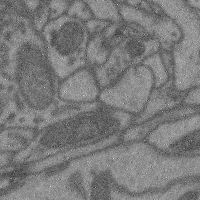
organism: Mouse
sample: Cerebral cortex